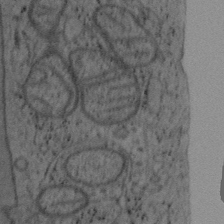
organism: Human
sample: HeLa cells